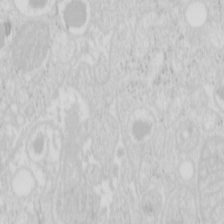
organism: Mouse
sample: Pancreas